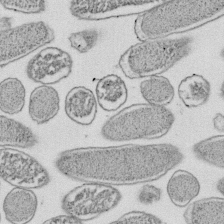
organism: E. coli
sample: Bacterial nucleoid